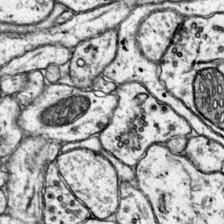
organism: Mouse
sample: Primary visual cortex